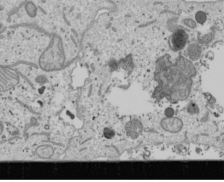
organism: Human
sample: Mitochondria in U2OS cells